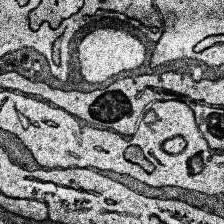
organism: Human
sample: Temporal Lobe